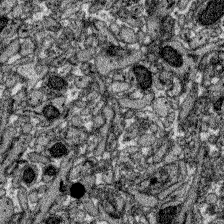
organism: Zebrafish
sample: Larval olfactory bulb